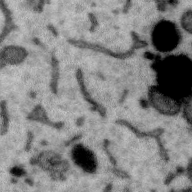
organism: Zebra finch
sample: Brain